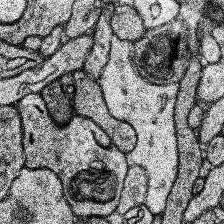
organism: Human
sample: Temporal Lobe